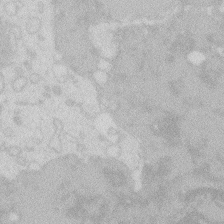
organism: Zebrafish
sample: Macrophage